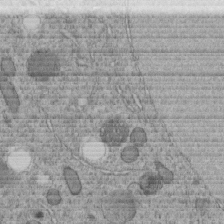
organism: C. elegans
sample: C. elegans embryo early stage